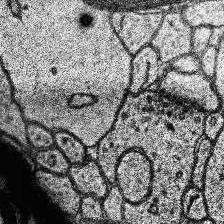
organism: Human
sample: Temporal Lobe